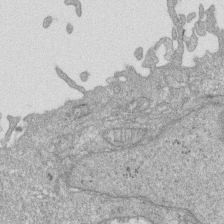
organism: Human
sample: HeLa cell HIV synapse